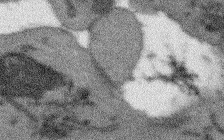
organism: Arabidopsis thaliana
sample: Root tip